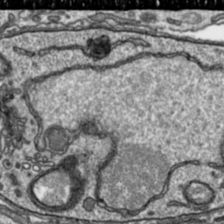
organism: Toxoplasma gondii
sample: Parasites in a vacuole inside a host cell